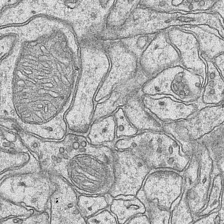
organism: Mouse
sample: CA1 Hippocampus